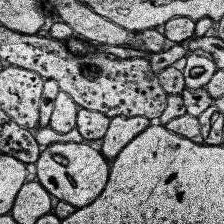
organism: Human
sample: Temporal Lobe